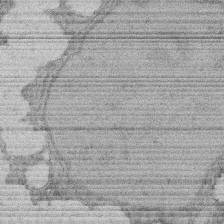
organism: Rat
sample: Salivary granule